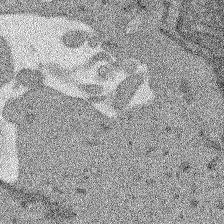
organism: Human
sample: HeLa cells